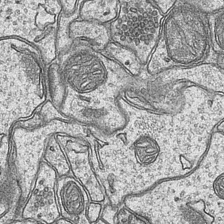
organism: Mouse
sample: CA1 Hippocampus